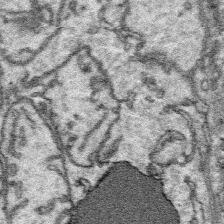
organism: Platynereis dumerilii